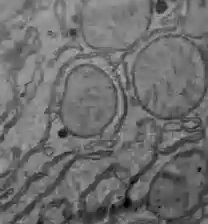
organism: C57BL Mouse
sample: Liver